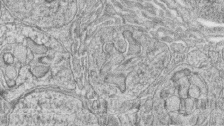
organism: Zebrafish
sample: synaptic ribbons in rod cells and cone cells